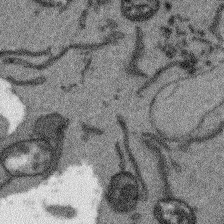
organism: Arabidopsis thaliana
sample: Root tip